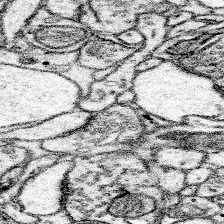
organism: Mouse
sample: Somatosensory cortex neuropil